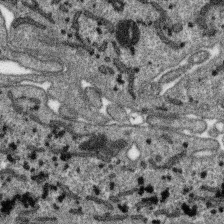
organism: Human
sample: Lung epithelial cells infected with SARS-CoV-2